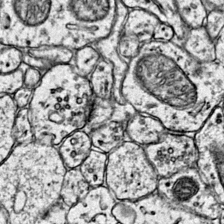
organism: Mouse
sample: Primary visual cortex